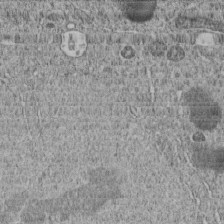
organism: C. elegans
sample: C. elegans embryo early stage